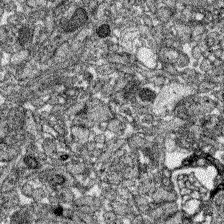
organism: Zebrafish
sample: Larval olfactory bulb